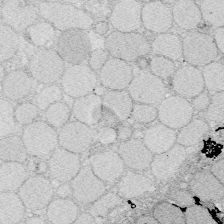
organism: Zebrafish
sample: Whole-Brain